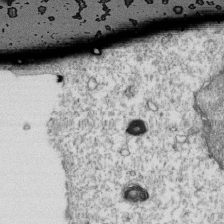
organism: Mouse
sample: Activated OT-1 CD8+ T cells